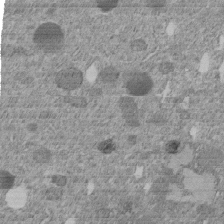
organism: C. elegans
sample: C. elegans embryo early stage